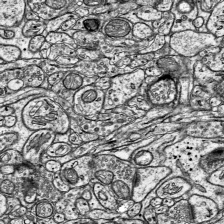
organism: Mouse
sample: Visual Cortex